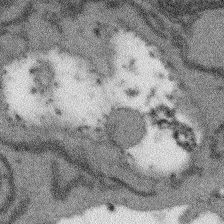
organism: Arabidopsis thaliana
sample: Root tip